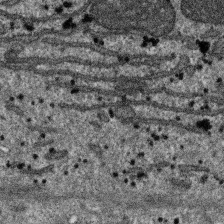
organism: Human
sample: Lung epithelial cells infected with SARS-CoV-2